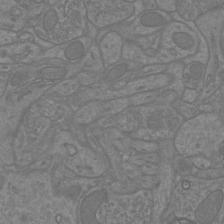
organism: Mouse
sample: Cortical neurons